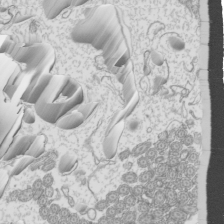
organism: Mouse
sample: Cilia; mouse epididymis